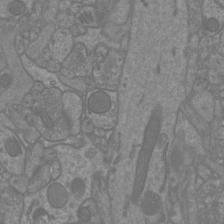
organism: Mouse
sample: Cortical neurons